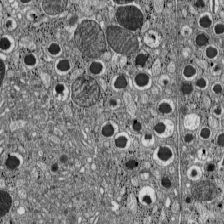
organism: C57BL Mouse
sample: Pancreatic islet